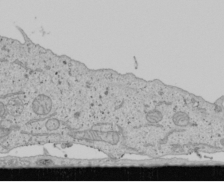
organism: Human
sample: Mitochondria in U2OS cells